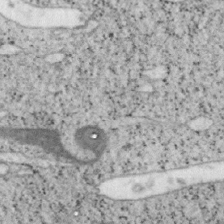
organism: Mouse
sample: OT-I killer T cells with ID8 ovarian cancer cells